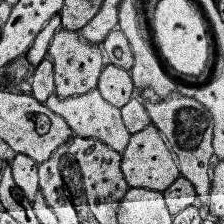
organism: Human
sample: Temporal Lobe